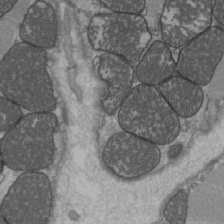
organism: C57BL Mouse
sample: Heart